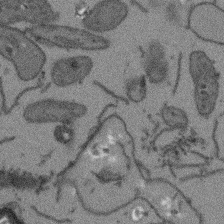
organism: Arabidopsis thaliana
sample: Root tip